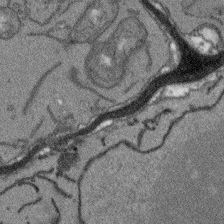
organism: Arabidopsis thaliana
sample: Root tip